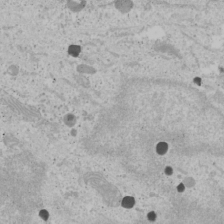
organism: Human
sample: Mitochondria in U2OS cells